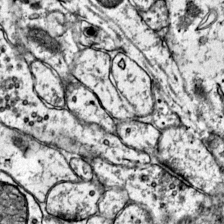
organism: Mouse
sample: Primary visual cortex